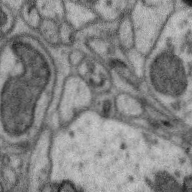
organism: Zebra finch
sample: Brain